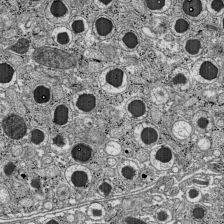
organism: C57BL Mouse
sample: Pancreatic islet